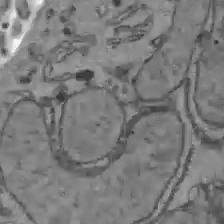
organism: C57BL Mouse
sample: Liver